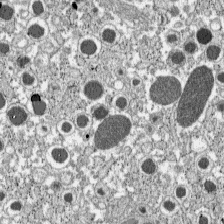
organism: C57BL Mouse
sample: Pancreatic islet